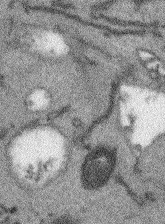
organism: Arabidopsis thaliana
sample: Root tip